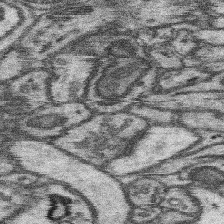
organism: Mouse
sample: Somatosensory cortex neuropil